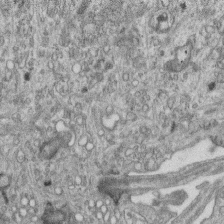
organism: Mouse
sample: Centriole in ependymal cells